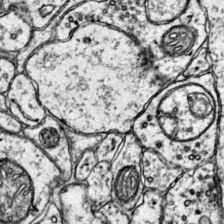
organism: Mouse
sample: Primary visual cortex